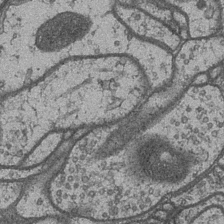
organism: Drosophila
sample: Optic medulla